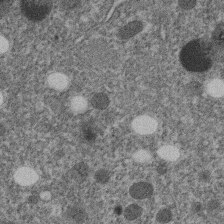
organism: C. elegans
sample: C. elegans embryo early stage